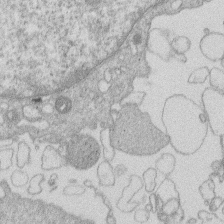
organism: Human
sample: Macrophage cells